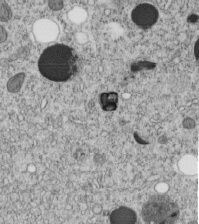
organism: C. elegans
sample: C. elegans embryo early stage